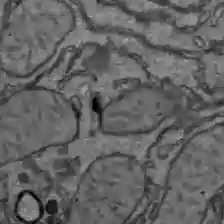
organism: C57BL Mouse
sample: Liver